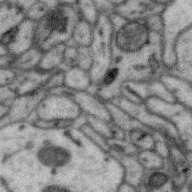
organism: Zebra finch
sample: Brain